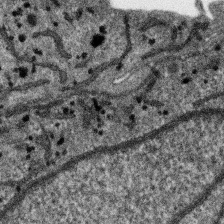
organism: Human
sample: Lung epithelial cells infected with SARS-CoV-2